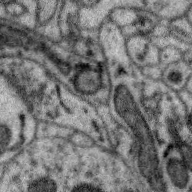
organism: Zebra finch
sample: Brain